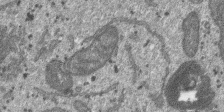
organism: Human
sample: Lung epithelial cells infected with SARS-CoV-2